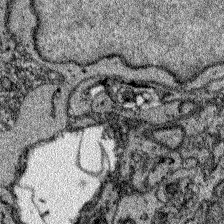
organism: Zebrafish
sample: Larval olfactory bulb